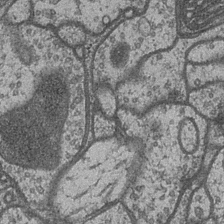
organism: Drosophila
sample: Optic medulla